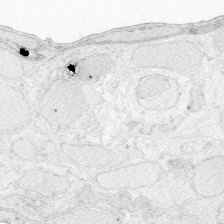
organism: Zebrafish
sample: Whole-Brain